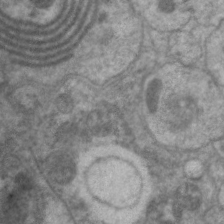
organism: C. elegans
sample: Pharynx